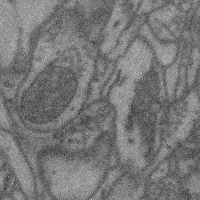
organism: Mouse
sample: Cerebral cortex